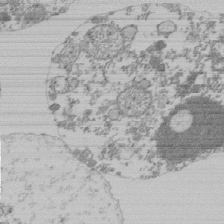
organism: Mouse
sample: Activated Pmel transgenic CD8+ T Cells